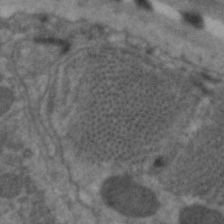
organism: C. elegans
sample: Pharynx